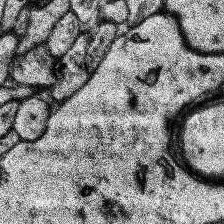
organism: Human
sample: Temporal Lobe